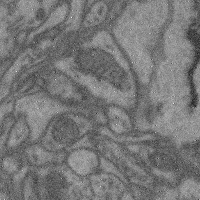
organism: Mouse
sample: Cerebral cortex